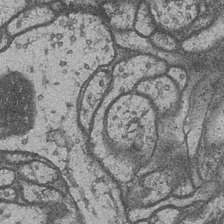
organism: Drosophila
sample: Optic medulla